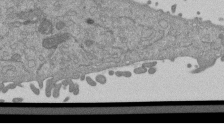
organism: Mouse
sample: ED-1 cell nuclei; centrioles